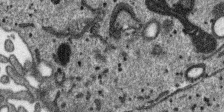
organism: Human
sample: Lung epithelial cells infected with SARS-CoV-2